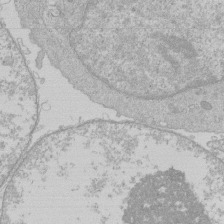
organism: Human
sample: Macrophage cells